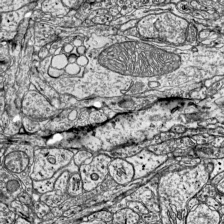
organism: Mouse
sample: Visual Cortex